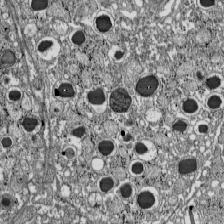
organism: C57BL Mouse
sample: Pancreatic islet